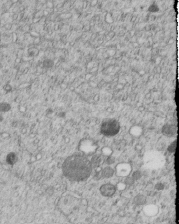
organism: C. elegans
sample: C. elegans embryo early stage